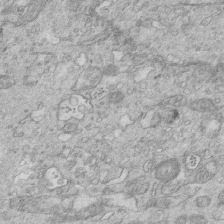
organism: Mouse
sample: Multiciliated cells